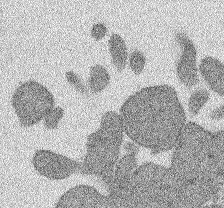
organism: Human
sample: HeLa cells